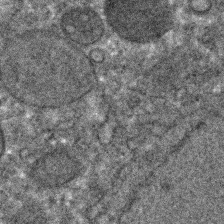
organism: C. elegans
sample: C. elegans embryo